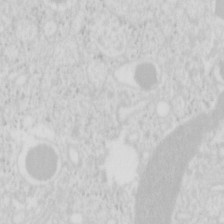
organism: Mouse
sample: Pancreas